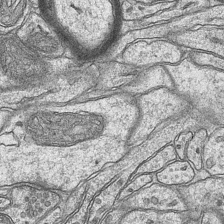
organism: Mouse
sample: CA1 Hippocampus